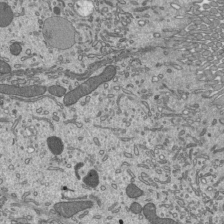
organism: Mouse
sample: Mouse epididymis efferent ductule cilia